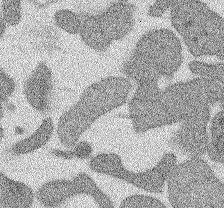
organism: Human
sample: HeLa cells